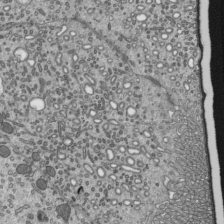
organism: Mouse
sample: Mouse epididymis efferent ductule cilia